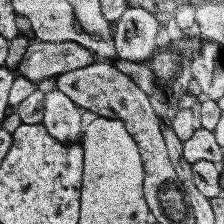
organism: Human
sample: Temporal Lobe